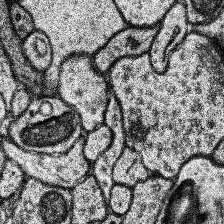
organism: Human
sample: Temporal Lobe